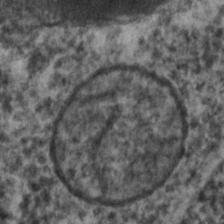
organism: C. elegans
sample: C. elegans embryo